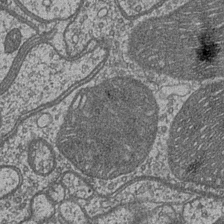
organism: Drosophila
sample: Optic medulla